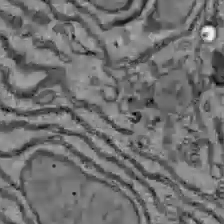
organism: C57BL Mouse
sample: Liver